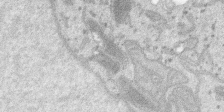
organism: Human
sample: Lung epithelial cells infected with SARS-CoV-2